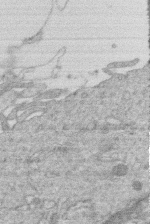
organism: Human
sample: Macrophage cells